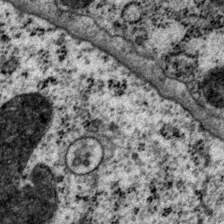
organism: P. pacificus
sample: Pharynx